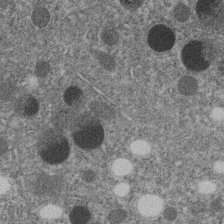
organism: C. elegans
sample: C. elegans embryo early stage